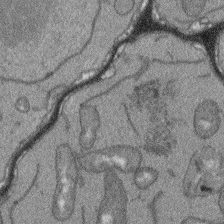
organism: Arabidopsis thaliana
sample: Root tip